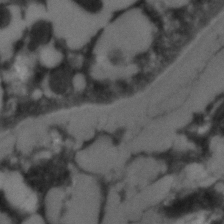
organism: C. elegans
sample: C. elegans embryo